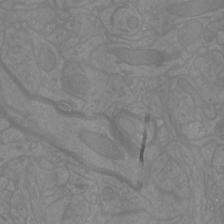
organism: Mouse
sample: Cortical neurons